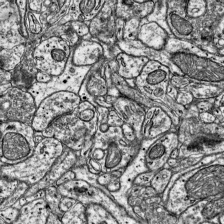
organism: Mouse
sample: Visual Cortex